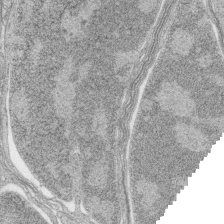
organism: Zebrafish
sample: synaptic ribbons in rod cells and cone cells